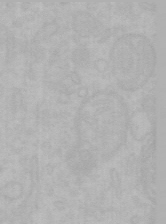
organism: Mouse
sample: Choroid plexus